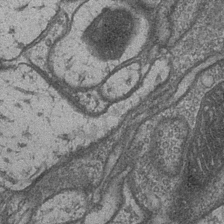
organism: Drosophila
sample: Optic medulla